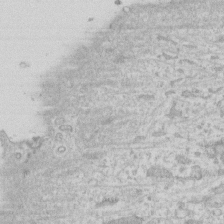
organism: Human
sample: Fibroblast cells